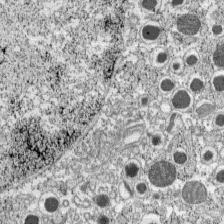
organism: C57BL Mouse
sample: Pancreatic islet